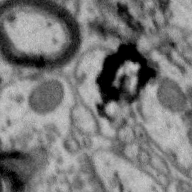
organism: Zebra finch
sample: Brain